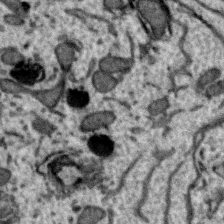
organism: Zebra finch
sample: Brain